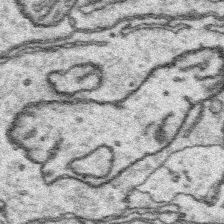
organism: Platynereis dumerilii